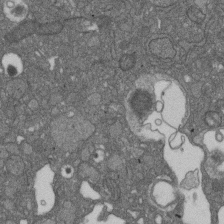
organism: Drosophila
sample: Nephrocyte